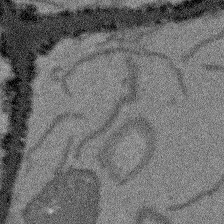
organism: Arabidopsis thaliana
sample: Root tip